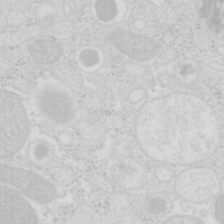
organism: Mouse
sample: Pancreas